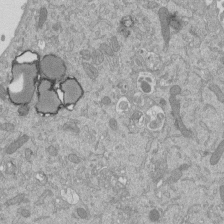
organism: Mouse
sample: ED-1 cell nuclei; centrioles